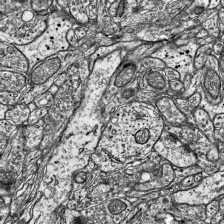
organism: Mouse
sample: Visual Cortex